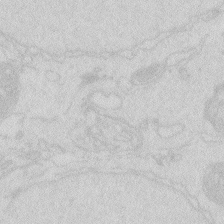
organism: Zebrafish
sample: Macrophage